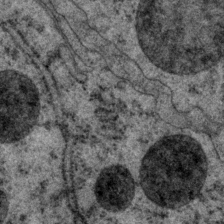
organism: P. pacificus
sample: Pharynx